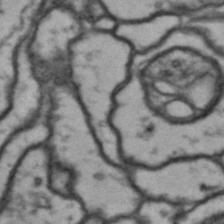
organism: Drosophila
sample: Brain